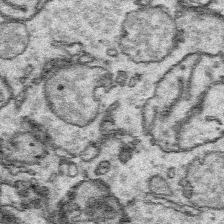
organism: Platynereis dumerilii